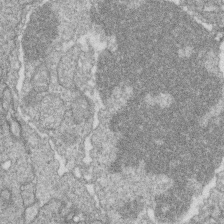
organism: Zebrafish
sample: Cilia; retinal pigment epithelium